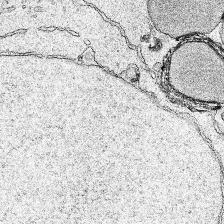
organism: Human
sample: Mitochondria in HCT116 cells